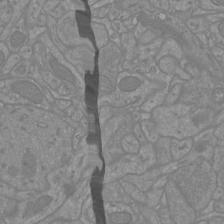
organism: Mouse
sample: Cortical neurons